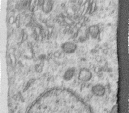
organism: Human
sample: Centriole in RPE cells